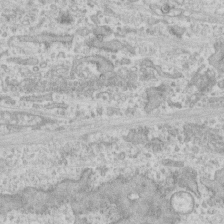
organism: Human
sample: CRL-1474